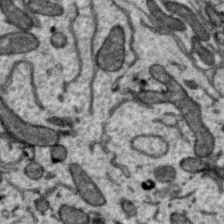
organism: Zebra finch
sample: Brain